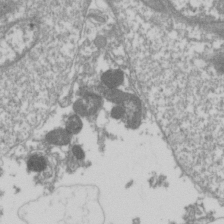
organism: Drosophila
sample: Cell division; meiosis; drosophila spermatocytes